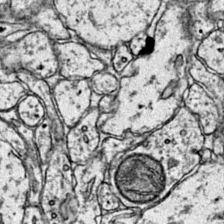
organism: Mouse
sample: Primary visual cortex